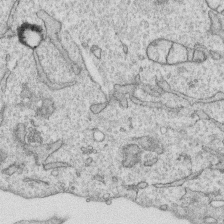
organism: Human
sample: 1205lu cells